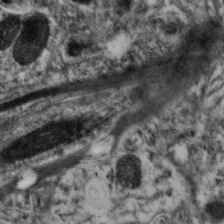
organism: Mouse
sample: Neocortex